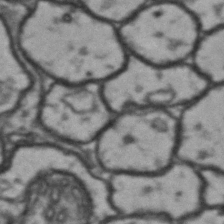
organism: Drosophila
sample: Brain